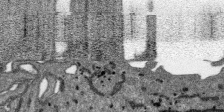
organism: Human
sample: Lung epithelial cells, uninfected (mock) control